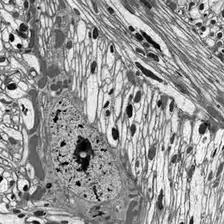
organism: Drosophila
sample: Optic lobe